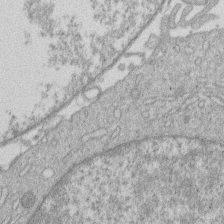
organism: Human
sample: Macrophage cells